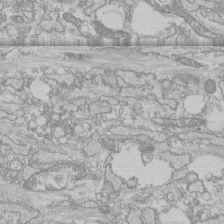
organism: Human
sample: CRL-1474